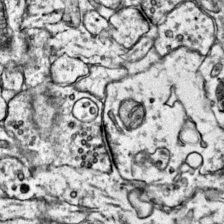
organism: Mouse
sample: Primary visual cortex